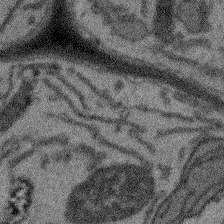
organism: Arabidopsis thaliana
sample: Root tip